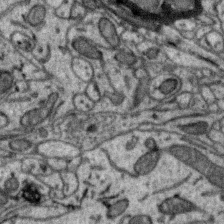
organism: Zebra finch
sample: Brain